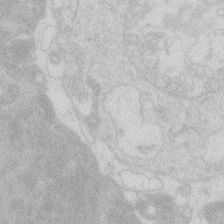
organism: Zebrafish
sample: Macrophage